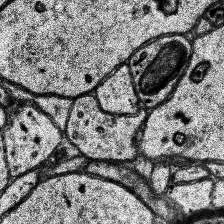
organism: Human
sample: Temporal Lobe